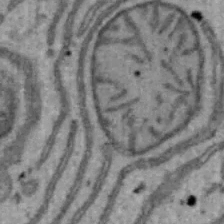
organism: Mouse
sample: Liver